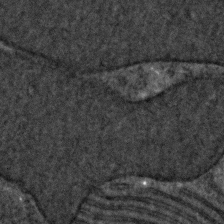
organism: C. elegans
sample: C. elegans embryo